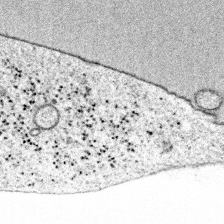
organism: Human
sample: HeLa cells